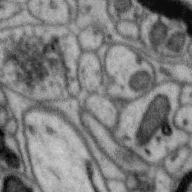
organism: Zebra finch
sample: Brain